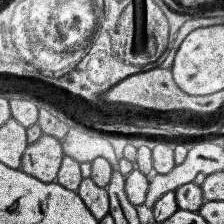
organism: Human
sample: Temporal Lobe